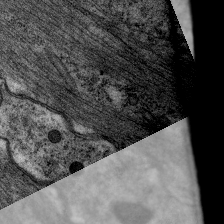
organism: C. elegans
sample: Pharynx